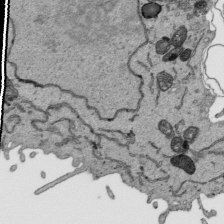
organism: Human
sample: Mitochondria in HCT116 cells